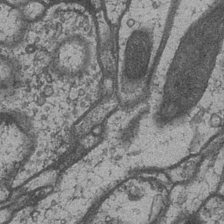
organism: Drosophila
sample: Optic medulla